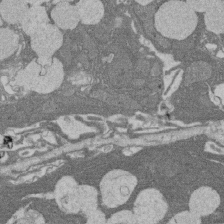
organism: Rat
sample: Salivary granule